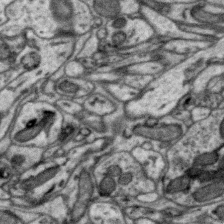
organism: Zebra finch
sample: Brain